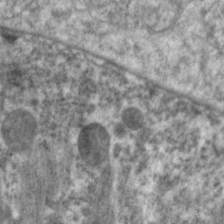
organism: C. elegans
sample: Pharynx